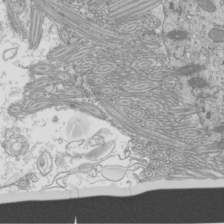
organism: Mouse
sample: Cilia; mouse epididymis